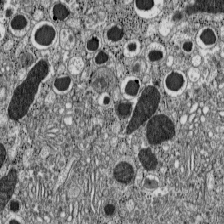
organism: C57BL Mouse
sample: Pancreatic islet